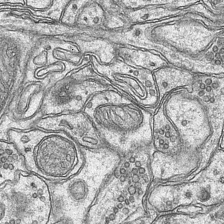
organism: Mouse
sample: CA1 Hippocampus